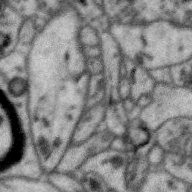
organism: Zebra finch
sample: Brain